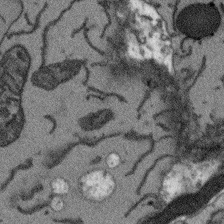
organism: Arabidopsis thaliana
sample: Root tip